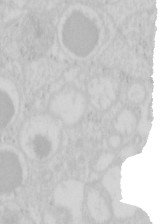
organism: Mouse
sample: Pancreas